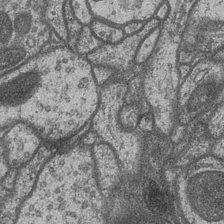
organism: Drosophila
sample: Optic medulla